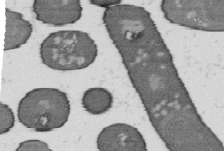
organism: B. subtilis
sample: Bacterial spore